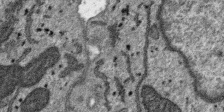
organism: Human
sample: Lung epithelial cells, uninfected (mock) control